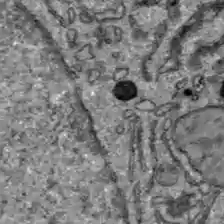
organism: C57BL Mouse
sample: Liver